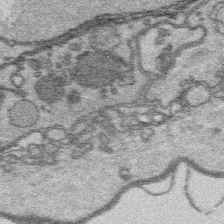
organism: Platynereis dumerilii